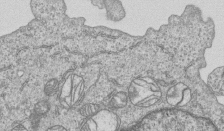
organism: Human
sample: MDA-MB-231 cells